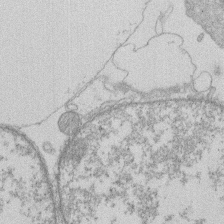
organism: Human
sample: Macrophage cells